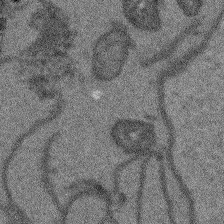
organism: Arabidopsis thaliana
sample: Root tip